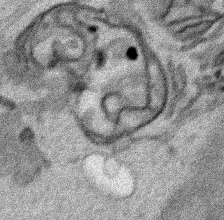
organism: Human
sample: Mitochondria in HCT116 cells